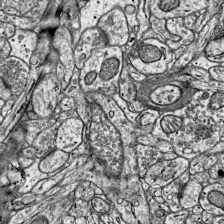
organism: Mouse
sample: Visual Cortex